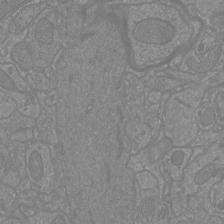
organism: Mouse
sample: Cortical neurons